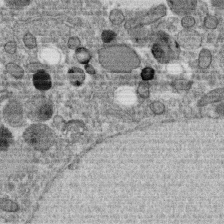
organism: C. elegans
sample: C. elegans oocyte; sperm cells